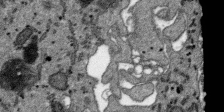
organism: Human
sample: Lung epithelial cells, uninfected (mock) control